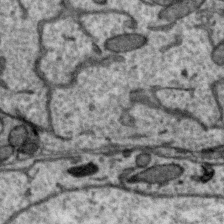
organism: Zebra finch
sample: Brain